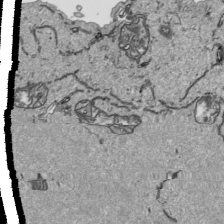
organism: Human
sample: Mitochondria in HCT116 cells